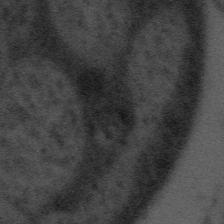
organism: Tuwongella immobilis